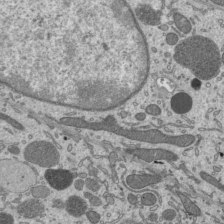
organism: Mouse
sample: Mouse epididymis efferent ductule cilia